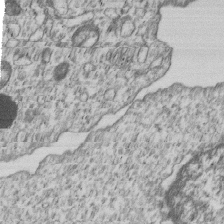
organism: Human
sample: MDA-MB-231 cells